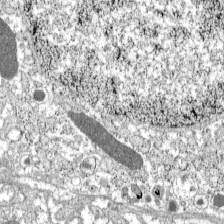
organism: C57BL Mouse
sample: Pancreatic islet